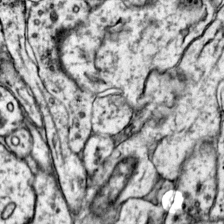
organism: Mouse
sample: Primary visual cortex